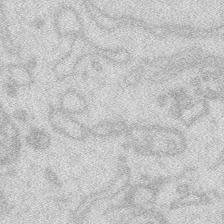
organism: Zebrafish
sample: Macrophage